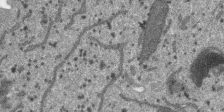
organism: Human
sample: Lung epithelial cells infected with SARS-CoV-2